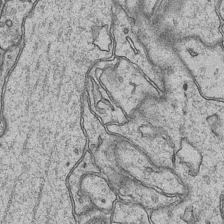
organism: Mouse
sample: CA1 Hippocampus